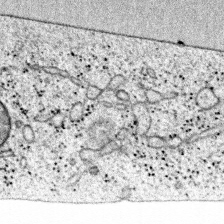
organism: Human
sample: HeLa cells